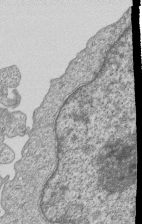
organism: Human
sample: MDA-MB-231 cells